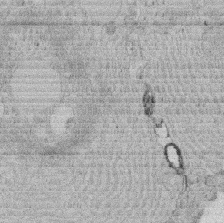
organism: Rat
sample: Salivary granule